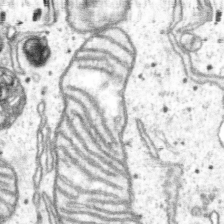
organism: Human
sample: HeLa cells